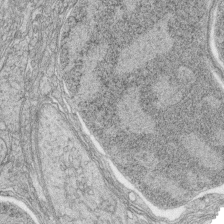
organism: Zebrafish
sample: synaptic ribbons in rod cells and cone cells